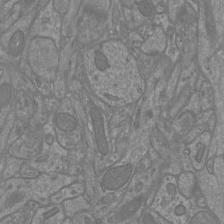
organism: Mouse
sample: Cortical neurons